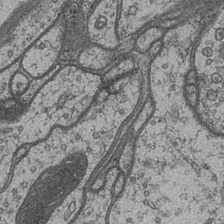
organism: Drosophila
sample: Optic medulla